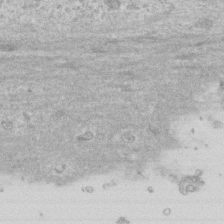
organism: Human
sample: CRL-1474